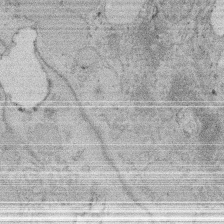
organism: Rat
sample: Salivary granule